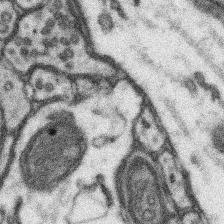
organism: Mouse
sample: Somatosensory cortex neuropil